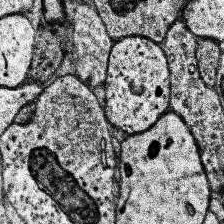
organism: Human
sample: Temporal Lobe